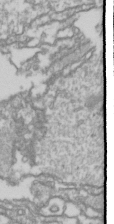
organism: Drosophila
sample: Cell division; meiosis; drosophila spermatocytes